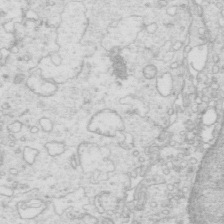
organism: Mouse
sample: Multiciliated cells